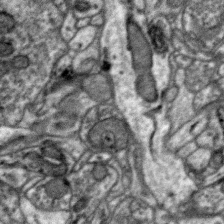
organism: Zebra finch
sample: Brain